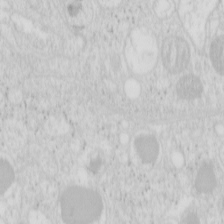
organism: Mouse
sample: Pancreas